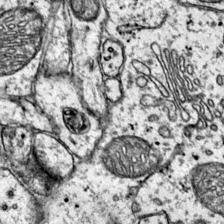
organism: Mouse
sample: Primary visual cortex